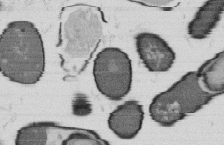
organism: B. subtilis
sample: Bacterial spore